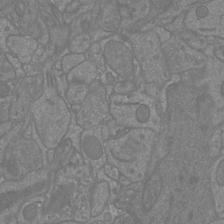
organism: Mouse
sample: Cortical neurons